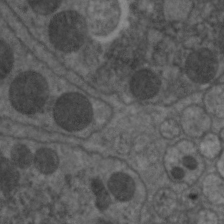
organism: C. elegans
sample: Pharynx